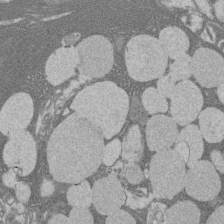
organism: Rat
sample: Salivary granule